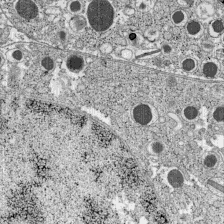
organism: C57BL Mouse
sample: Pancreatic islet